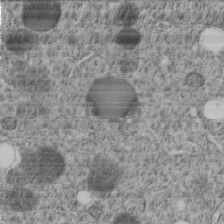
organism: C. elegans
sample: C. elegans embryo early stage